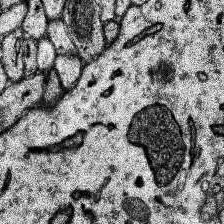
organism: Human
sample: Temporal Lobe